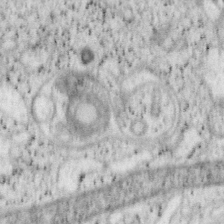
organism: Mouse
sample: OT-I killer T cells with ID8 ovarian cancer cells